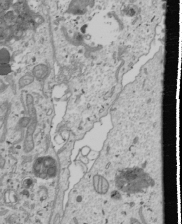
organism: Human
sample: Mitochondria in U2OS cells